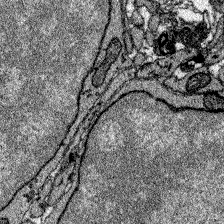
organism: Zebrafish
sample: Larval olfactory bulb